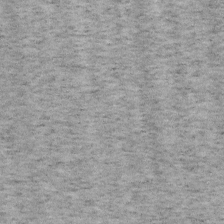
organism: Mouse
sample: OT-I killer T cells with ID8 ovarian cancer cells